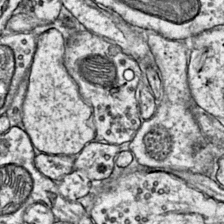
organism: Mouse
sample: Primary visual cortex